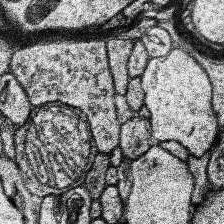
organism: Human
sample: Temporal Lobe